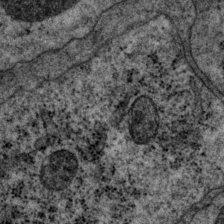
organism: P. pacificus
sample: Pharynx